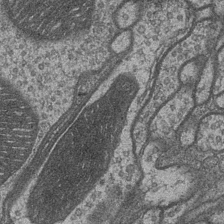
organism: Drosophila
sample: Optic medulla